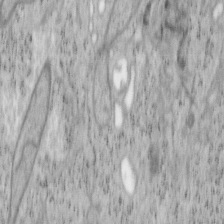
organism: Human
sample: HeLa cells